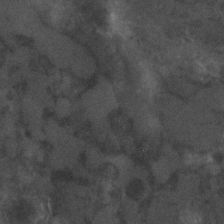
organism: C. elegans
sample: C. elegans embryo